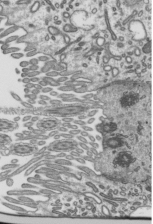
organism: Mouse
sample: Mouse epididymis efferent ductule cilia